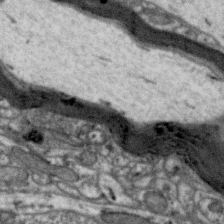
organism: Zebra finch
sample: Brain